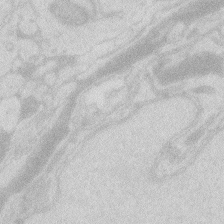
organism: Zebrafish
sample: Macrophage